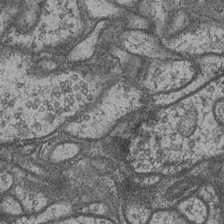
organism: Drosophila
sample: Optic medulla